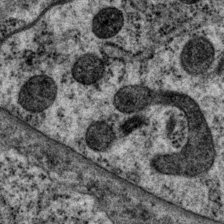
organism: P. pacificus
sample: Pharynx